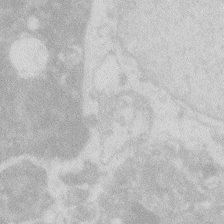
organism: Zebrafish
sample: Macrophage